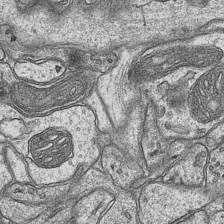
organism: Mouse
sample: CA1 Hippocampus